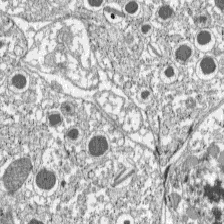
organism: C57BL Mouse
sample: Pancreatic islet